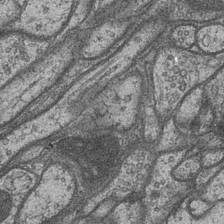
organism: Drosophila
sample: Optic medulla